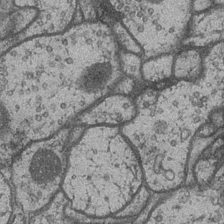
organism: Drosophila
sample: Optic medulla